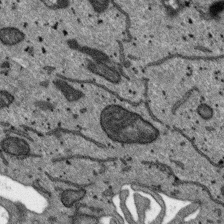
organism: Human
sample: Lung epithelial cells, uninfected (mock) control